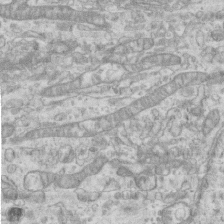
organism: Mouse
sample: Centriole in ependymal cells